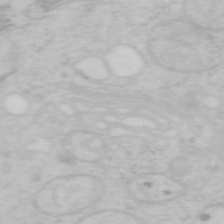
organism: Mouse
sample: OT-I killer T cells with ID8 ovarian cancer cells